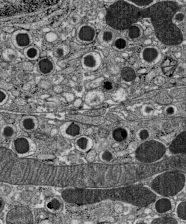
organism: C57BL Mouse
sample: Pancreatic islet